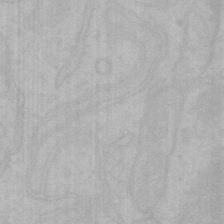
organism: Mouse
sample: Choroid plexus